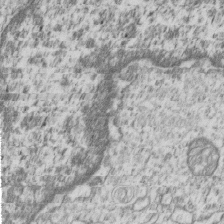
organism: Human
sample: MDA-MB-231 cells